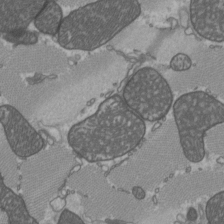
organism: C57BL Mouse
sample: Heart